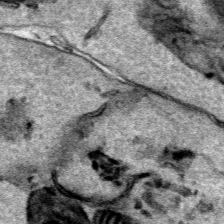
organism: Human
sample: Mitochondria in HCT116 cells